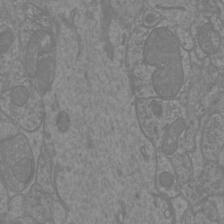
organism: Mouse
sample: Cortical neurons